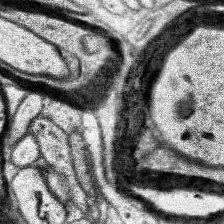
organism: Human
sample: Temporal Lobe